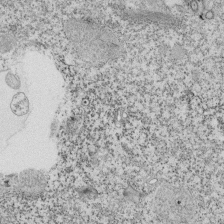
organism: Tetrahymena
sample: Cilia in tetrahymena